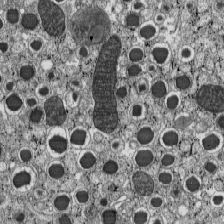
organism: C57BL Mouse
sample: Pancreatic islet